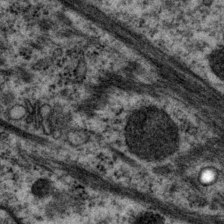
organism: P. pacificus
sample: Pharynx